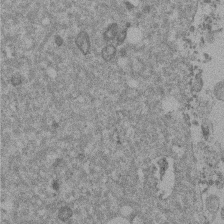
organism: Mouse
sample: Dividing mouse embryo 1 cell stage